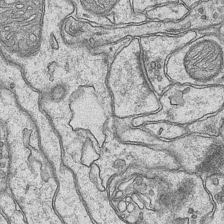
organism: Mouse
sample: CA1 Hippocampus